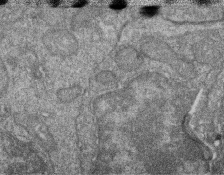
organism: Zebrafish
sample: Cilia; retinal pigment epithelium